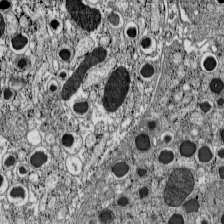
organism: C57BL Mouse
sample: Pancreatic islet